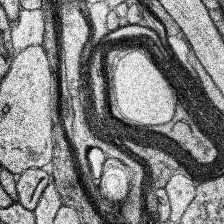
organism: Human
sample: Temporal Lobe